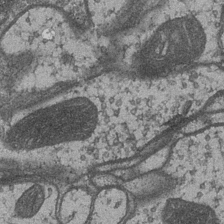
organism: Drosophila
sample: Optic medulla